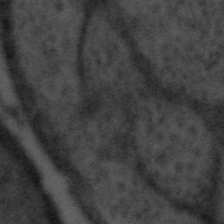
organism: Tuwongella immobilis